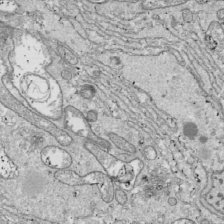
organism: Drosophila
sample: Cell division; meiosis; drosophila spermatocytes